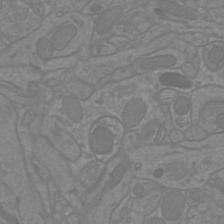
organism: Mouse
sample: Cortical neurons